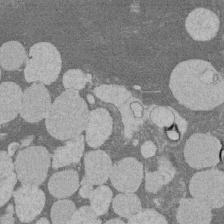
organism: Rat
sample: Salivary granule